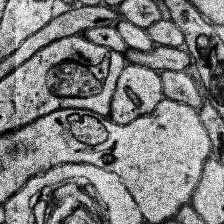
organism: Human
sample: Temporal Lobe